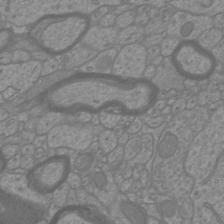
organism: Mouse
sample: Cortical neurons